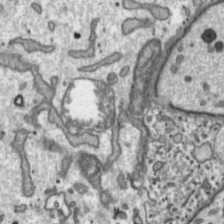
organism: Toxoplasma gondii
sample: Parasites in a vacuole inside a host cell